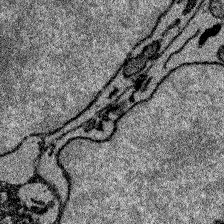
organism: Zebrafish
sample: Larval olfactory bulb